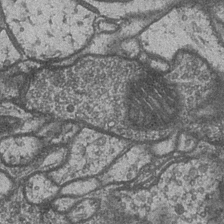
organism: Drosophila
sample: Optic medulla